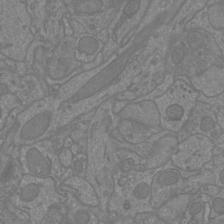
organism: Mouse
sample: Cortical neurons